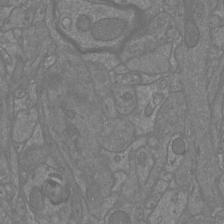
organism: Mouse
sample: Cortical neurons